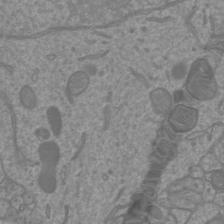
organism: Mouse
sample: Cortical neurons